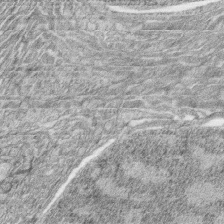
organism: Zebrafish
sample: synaptic ribbons in rod cells and cone cells